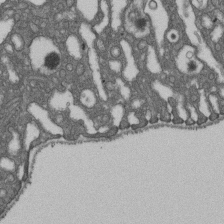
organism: Drosophila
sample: Nephrocyte